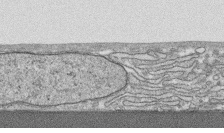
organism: Human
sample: CRL-1474